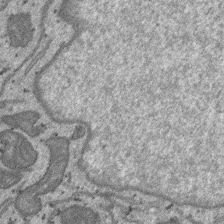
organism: Human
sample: Lung epithelial cells infected with SARS-CoV-2